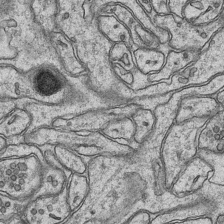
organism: Mouse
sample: CA1 Hippocampus